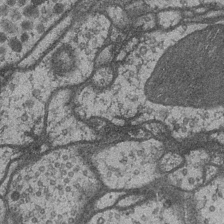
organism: Drosophila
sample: Optic medulla